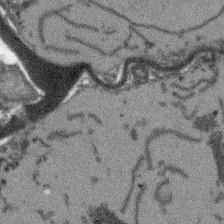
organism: Arabidopsis thaliana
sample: Root tip